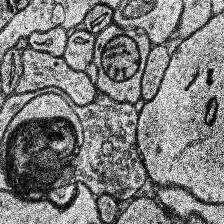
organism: Human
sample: Temporal Lobe